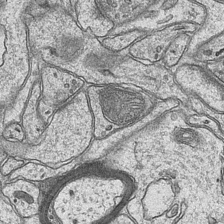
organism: Mouse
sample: CA1 Hippocampus